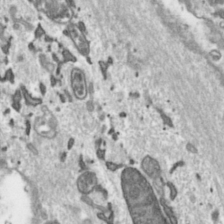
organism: Toxoplasma gondii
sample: Parasites in a vacuole inside a host cell